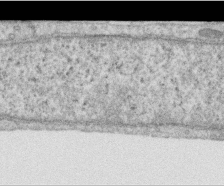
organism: Human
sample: Centriole in RPE cells